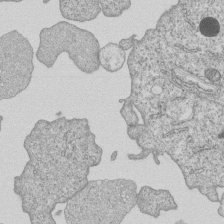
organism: Human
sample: MDA-MB-231 cells